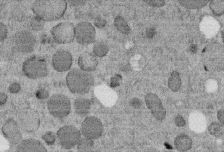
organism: C. elegans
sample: C. elegans embryo early stage